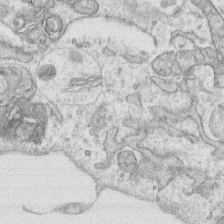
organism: Human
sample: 1205lu cells